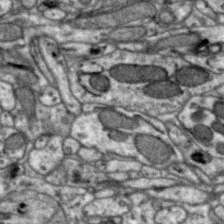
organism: Zebra finch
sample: Brain